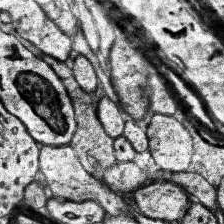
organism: Human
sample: Temporal Lobe